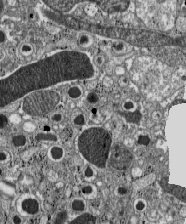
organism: C57BL Mouse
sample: Pancreatic islet